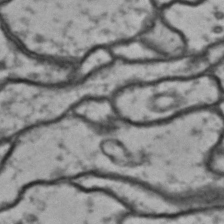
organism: Drosophila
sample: Brain